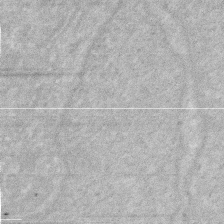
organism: Human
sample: HIV infected U937 cells